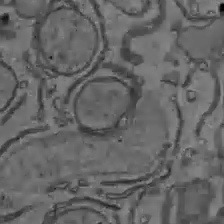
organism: C57BL Mouse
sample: Liver